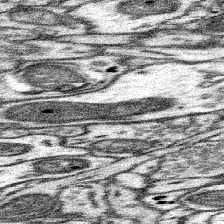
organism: Mouse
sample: Somatosensory cortex neuropil